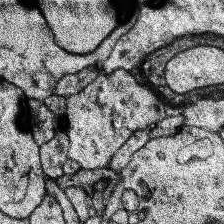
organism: Human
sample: Temporal Lobe